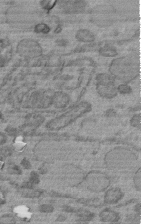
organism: C. elegans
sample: C. elegans embryo early stage